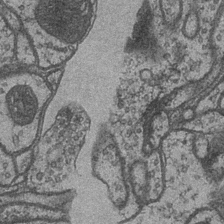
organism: Drosophila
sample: Optic medulla